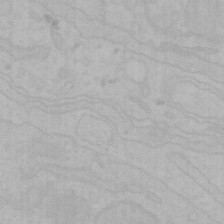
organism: Mouse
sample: Choroid plexus